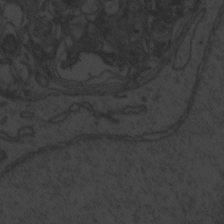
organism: Zebrafish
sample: Macrophage infected with Toxoplasma gondii